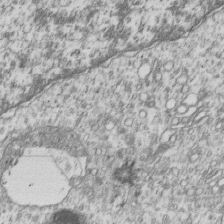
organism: Human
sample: MDA-MB-231 cells